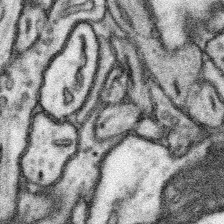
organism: Mouse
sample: Somatosensory cortex neuropil